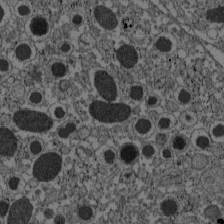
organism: C57BL Mouse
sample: Pancreatic islet